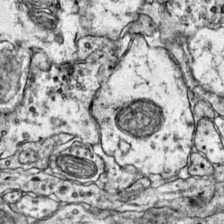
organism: Mouse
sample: Primary visual cortex